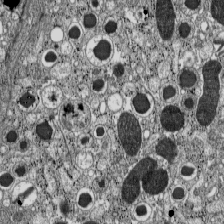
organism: C57BL Mouse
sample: Pancreatic islet